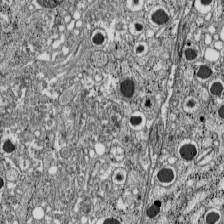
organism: C57BL Mouse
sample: Pancreatic islet